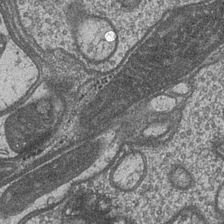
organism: Drosophila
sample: Optic medulla